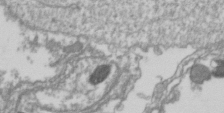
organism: Drosophila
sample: Cell division; meiosis; drosophila spermatocytes